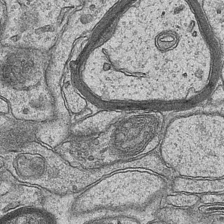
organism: Mouse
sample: CA1 Hippocampus